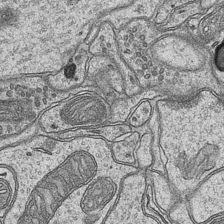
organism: Mouse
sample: CA1 Hippocampus